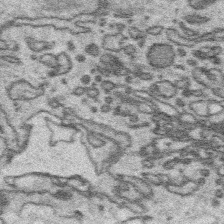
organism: Platynereis dumerilii